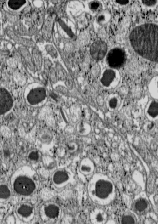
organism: C57BL Mouse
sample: Pancreatic islet